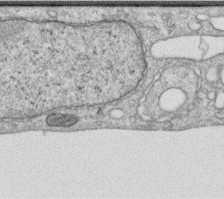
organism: Human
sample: Centriole in RPE cells